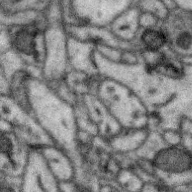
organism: Zebra finch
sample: Brain